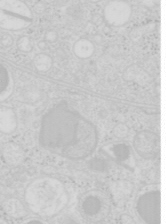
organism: Mouse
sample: Pancreas